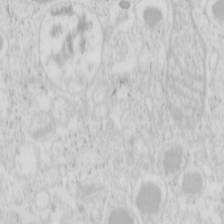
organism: Mouse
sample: Pancreas